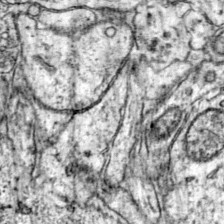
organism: Mouse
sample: Primary visual cortex